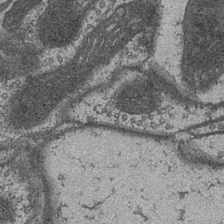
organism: Drosophila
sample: Optic medulla